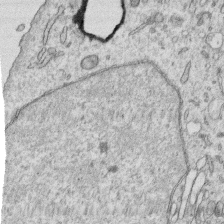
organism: Human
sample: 1205lu cells